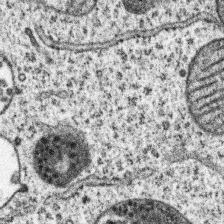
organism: Human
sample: HeLa cells